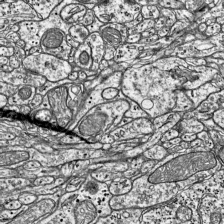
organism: Mouse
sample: Visual Cortex